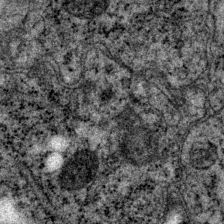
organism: P. pacificus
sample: Pharynx